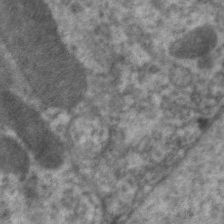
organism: C. elegans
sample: Pharynx